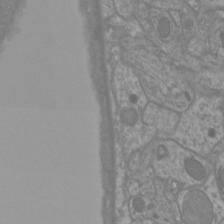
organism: Mouse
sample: Cortical neurons